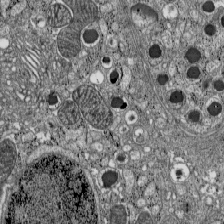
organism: C57BL Mouse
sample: Pancreatic islet